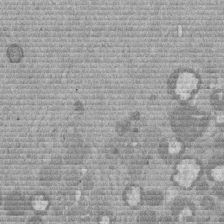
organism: Mouse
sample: Dividing mouse embryo 1 cell stage